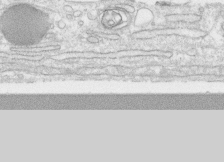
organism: Human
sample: CRL-1474